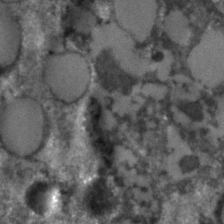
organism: C. elegans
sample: C. elegans embryo